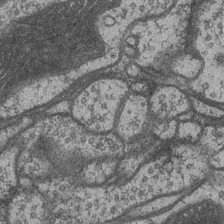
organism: Drosophila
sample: Optic medulla